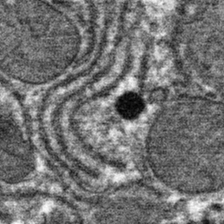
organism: Mouse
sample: Mouse hepatocytes